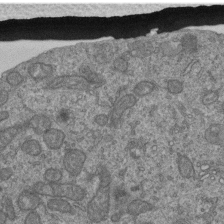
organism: Human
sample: Retinal organoid Rod and Cone cells